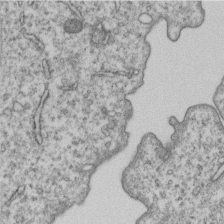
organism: Human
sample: MDA-MB-231 cells